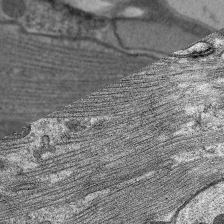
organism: C. elegans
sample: Pharynx